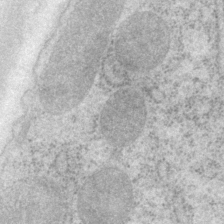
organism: P. pacificus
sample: Pharynx